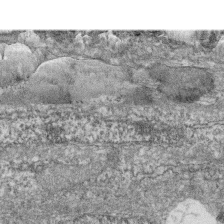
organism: Zebrafish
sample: Cilia; retinal pigment epithelium